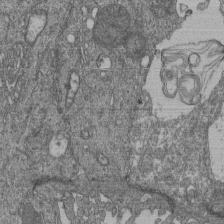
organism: Human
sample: Retinal organoid Rod and Cone cells